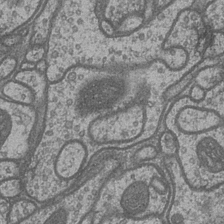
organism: Drosophila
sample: Optic medulla